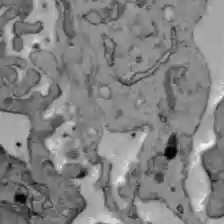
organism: C57BL Mouse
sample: Liver